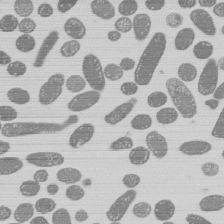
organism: E. coli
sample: Bacterial nucleoid